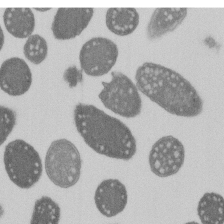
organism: E. coli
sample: Bacterial nucleoid